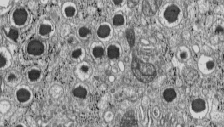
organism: C57BL Mouse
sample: Pancreatic islet